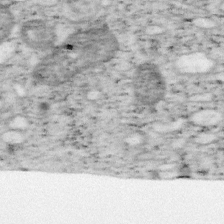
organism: Mouse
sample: OT-I killer T cells with ID8 ovarian cancer cells